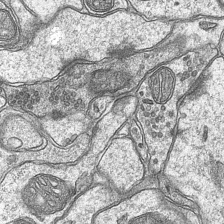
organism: Mouse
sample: CA1 Hippocampus